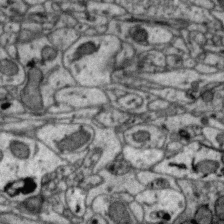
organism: Zebra finch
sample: Brain